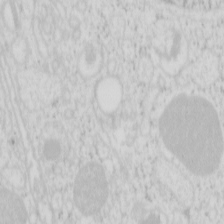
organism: Mouse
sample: Pancreas